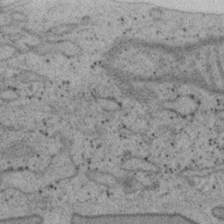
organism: Human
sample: HeLa cells